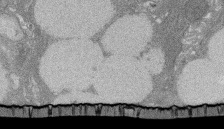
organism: Rat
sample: Salivary granule